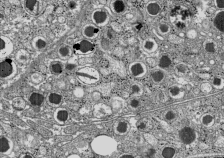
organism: C57BL Mouse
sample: Pancreatic islet